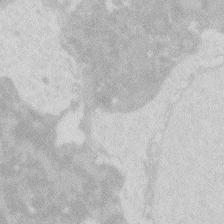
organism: Zebrafish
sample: Macrophage